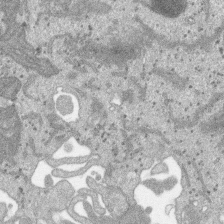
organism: Human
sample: Lung epithelial cells infected with SARS-CoV-2